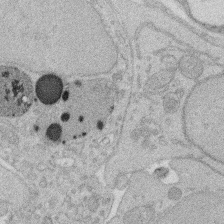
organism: Rat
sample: Salivary granule